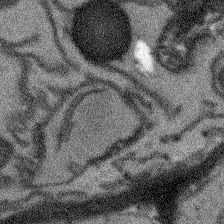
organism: Arabidopsis thaliana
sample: Root tip